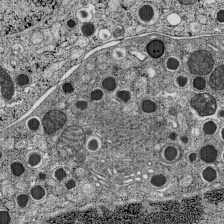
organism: C57BL Mouse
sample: Pancreatic islet